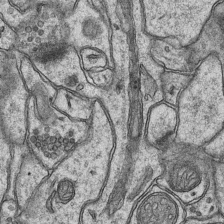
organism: Mouse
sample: CA1 Hippocampus